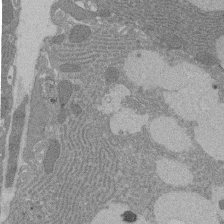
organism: Rat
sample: Salivary granule